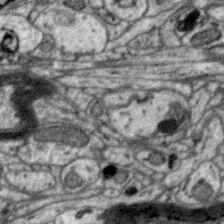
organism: Zebra finch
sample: Brain